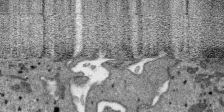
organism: Human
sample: Lung epithelial cells, uninfected (mock) control